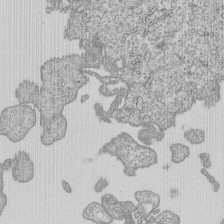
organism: Human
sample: MDA-MB-231 cells